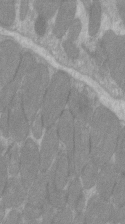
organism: C57BL Mouse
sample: Tibialis anterior muscle cell